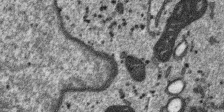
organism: Human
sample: Lung epithelial cells infected with SARS-CoV-2